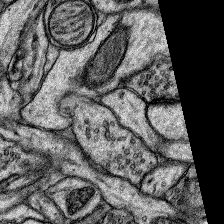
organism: Rat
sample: Hippocampus